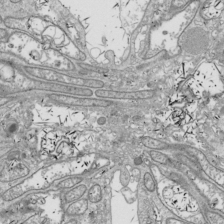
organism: Drosophila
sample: Cell division; meiosis; drosophila spermatocytes